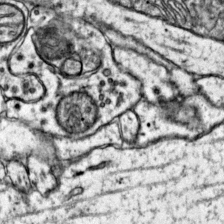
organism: Mouse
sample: Primary visual cortex